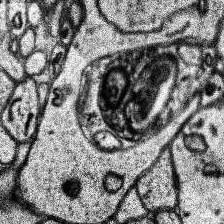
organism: Human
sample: Temporal Lobe